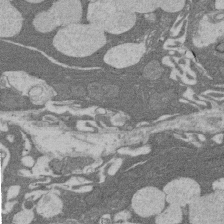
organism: Rat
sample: Salivary granule